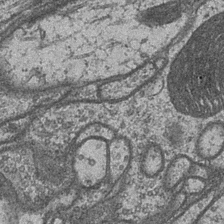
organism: Drosophila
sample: Optic medulla